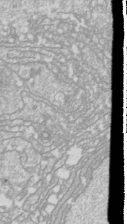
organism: Drosophila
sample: Cell division; meiosis; drosophila spermatocytes